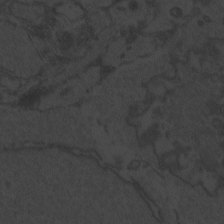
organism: Zebrafish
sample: Macrophage infected with Toxoplasma gondii